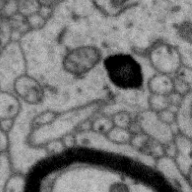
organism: Zebra finch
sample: Brain